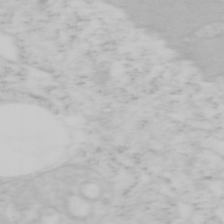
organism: Mouse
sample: OT-I killer T cells with ID8 ovarian cancer cells